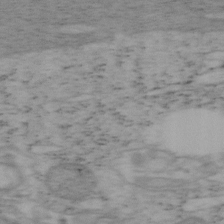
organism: Mouse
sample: OT-I killer T cells with ID8 ovarian cancer cells